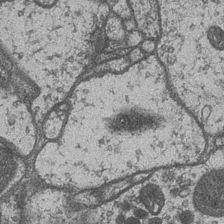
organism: Drosophila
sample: Optic medulla